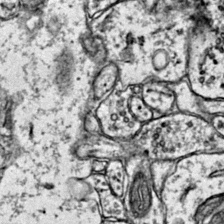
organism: Mouse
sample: Primary visual cortex